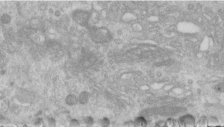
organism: Human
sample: Centriole in RPE cells